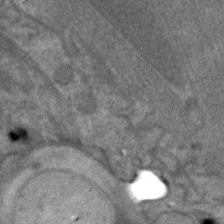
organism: C. elegans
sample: Pharynx